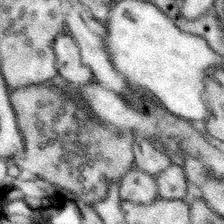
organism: Mouse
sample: Somatosensory cortex neuropil